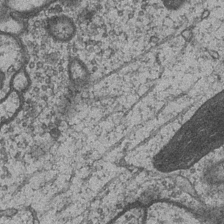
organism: Drosophila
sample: Optic medulla